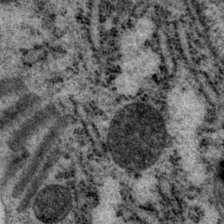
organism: P. pacificus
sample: Pharynx